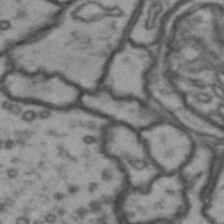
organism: Drosophila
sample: Brain